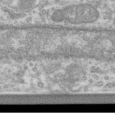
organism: Human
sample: Centriole in RPE cells